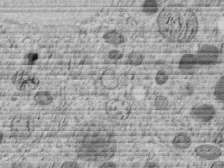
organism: C. elegans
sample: C. elegans embryo early stage